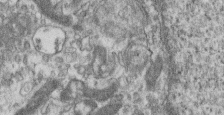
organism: Mouse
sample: Centriole in ependymal cells